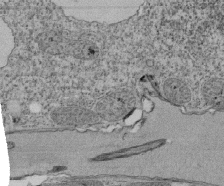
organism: Tetrahymena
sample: Cilia in tetrahymena